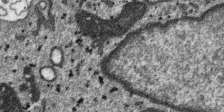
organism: Human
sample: Lung epithelial cells infected with SARS-CoV-2